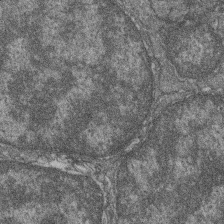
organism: Zebrafish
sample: Cilia; retinal pigment epithelium